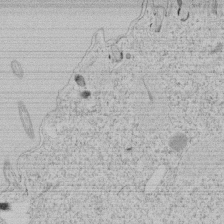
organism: Tetrahymena